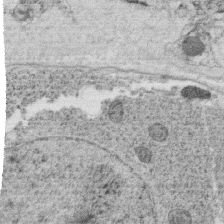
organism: C. elegans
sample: C. elegans oocyte; sperm cells